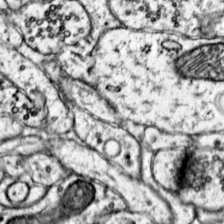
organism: Mouse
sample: Primary visual cortex